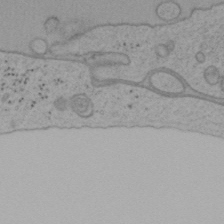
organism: Human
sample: HeLa cells